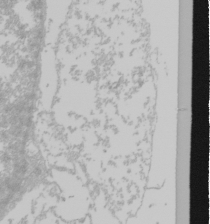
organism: Mouse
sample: Cancer cell death in ED-1 cells